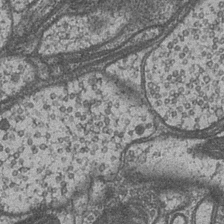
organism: Drosophila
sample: Optic medulla